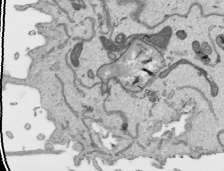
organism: Human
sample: Mitochondria in HCT116 cells